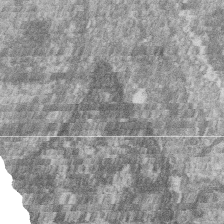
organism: Zebrafish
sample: Cilia; retinal pigment epithelium